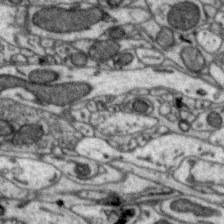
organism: Zebra finch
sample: Brain